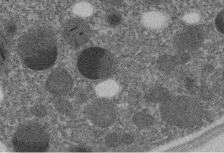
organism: C. elegans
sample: C. elegans embryo early stage